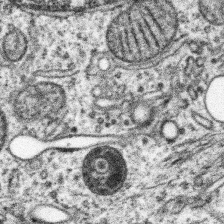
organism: Human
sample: HeLa cells